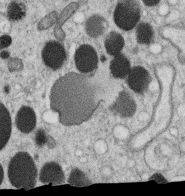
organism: C. elegans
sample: C. elegans oocyte; sperm cells